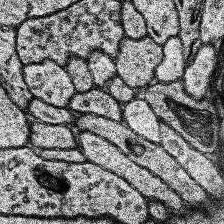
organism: Human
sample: Temporal Lobe